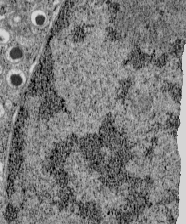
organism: C57BL Mouse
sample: Pancreatic islet